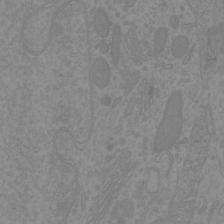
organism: Mouse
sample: Cortical neurons